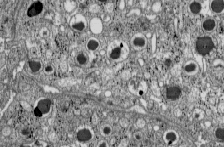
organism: C57BL Mouse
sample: Pancreatic islet